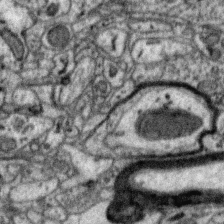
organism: Zebra finch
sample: Brain